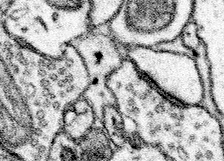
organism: Mouse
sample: Somatosensory cortex neuropil